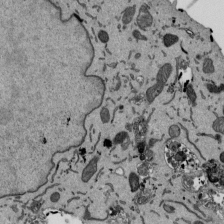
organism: Mouse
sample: ED-1 cell nuclei; centrioles